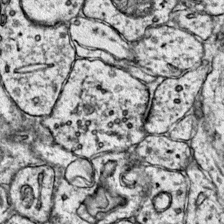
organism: Mouse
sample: Primary visual cortex